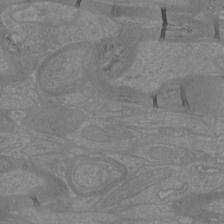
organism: Mouse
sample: Cortical neurons